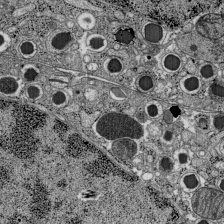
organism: C57BL Mouse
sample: Pancreatic islet